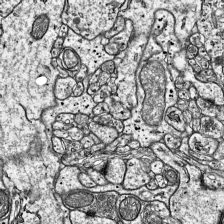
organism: Mouse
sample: Visual Cortex